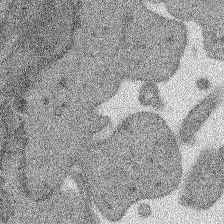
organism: Human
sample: HeLa cells